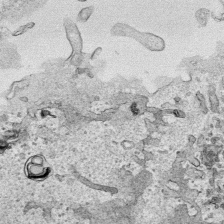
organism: Human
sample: Mitochondria in HCT116 cells